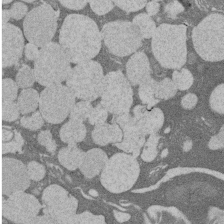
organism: Rat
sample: Salivary granule